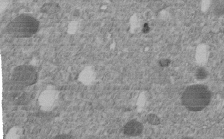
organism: C. elegans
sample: C. elegans embryo early stage